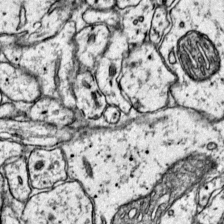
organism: Mouse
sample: Primary visual cortex